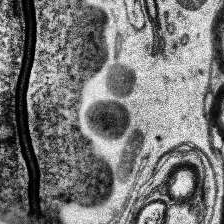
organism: Human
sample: Temporal Lobe